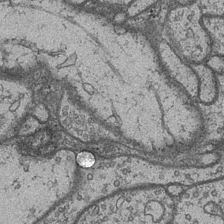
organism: Drosophila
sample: Optic medulla